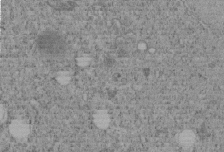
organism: C. elegans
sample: C. elegans embryo early stage